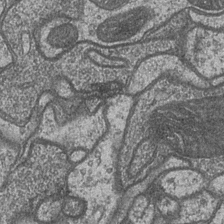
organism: Drosophila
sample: Optic medulla